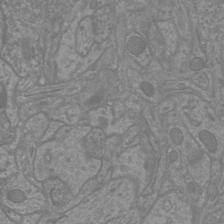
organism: Mouse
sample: Cortical neurons